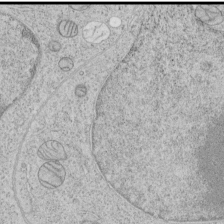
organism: Human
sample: Mitochondria in HCT116 cells